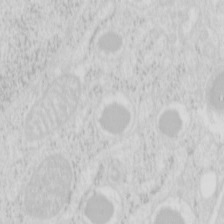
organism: Mouse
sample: Pancreas